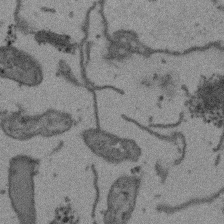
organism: Arabidopsis thaliana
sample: Root tip